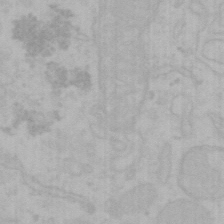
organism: Mouse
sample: Choroid plexus